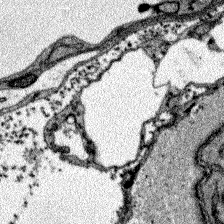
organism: Zebrafish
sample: Larval olfactory bulb